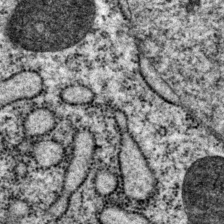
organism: P. pacificus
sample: Pharynx